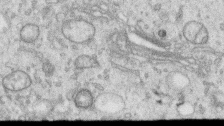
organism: Human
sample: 1205lu cells